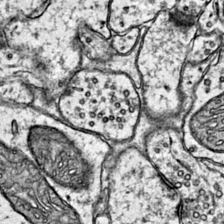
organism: Mouse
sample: Primary visual cortex